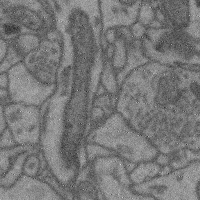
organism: Mouse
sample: Cerebral cortex